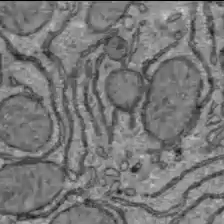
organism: C57BL Mouse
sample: Liver